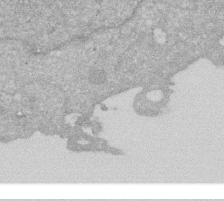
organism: Human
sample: HIV infected U937 cells